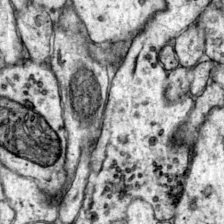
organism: Mouse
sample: Primary visual cortex